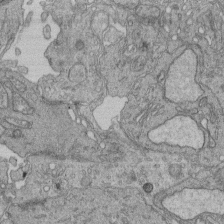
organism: Human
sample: Retinal organoid Rod and Cone cells